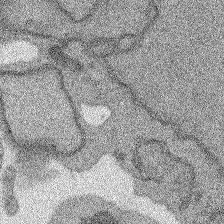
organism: Human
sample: HeLa cells